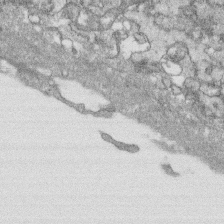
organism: Human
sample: CRL-1474